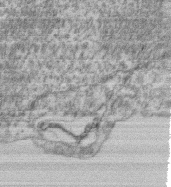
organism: Mouse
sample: T cell stromal cell synapse